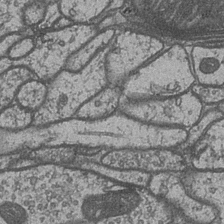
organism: Drosophila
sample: Optic medulla